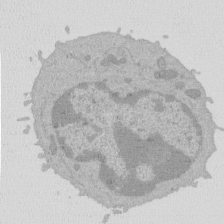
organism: Mouse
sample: Activated Pmel transgenic CD8+ T Cells